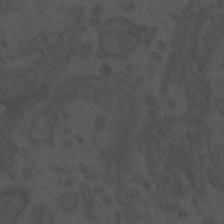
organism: Mouse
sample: Suprachiasmatic nucleus